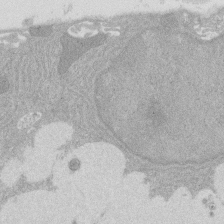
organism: Rat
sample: Salivary granule